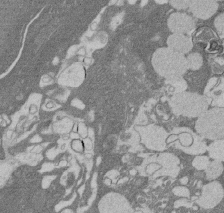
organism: Rat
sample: Salivary granule